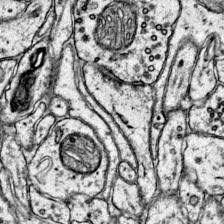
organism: Mouse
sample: Primary visual cortex